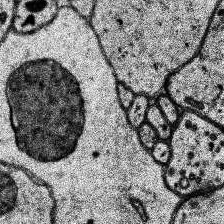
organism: Human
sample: Temporal Lobe